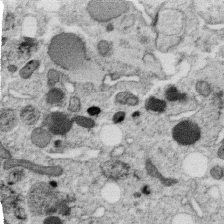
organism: C. elegans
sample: C. elegans oocyte; sperm cells